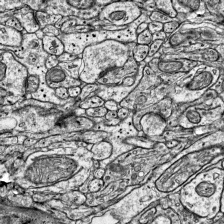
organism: Mouse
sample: Visual Cortex